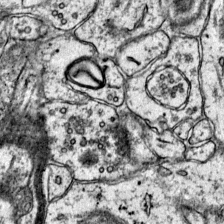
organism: Mouse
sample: Primary visual cortex